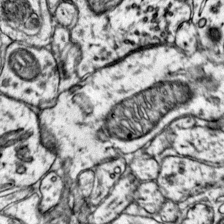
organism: Mouse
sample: Primary visual cortex